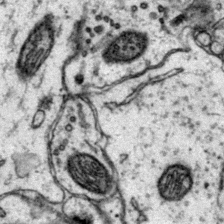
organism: Mouse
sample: Primary visual cortex